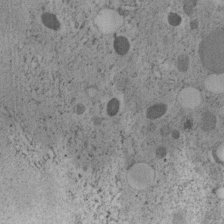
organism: C. elegans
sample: C. elegans embryo early stage